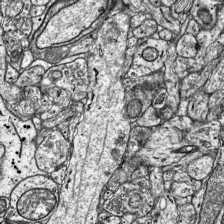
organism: Mouse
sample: Visual Cortex